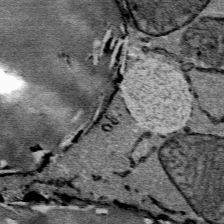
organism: Mouse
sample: Mouse Salivary gland